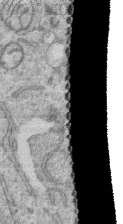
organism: Human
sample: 1205lu cells